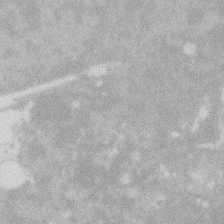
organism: Zebrafish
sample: Macrophage